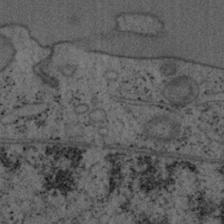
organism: Human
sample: HeLa cells